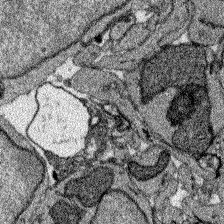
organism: Zebrafish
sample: Larval olfactory bulb